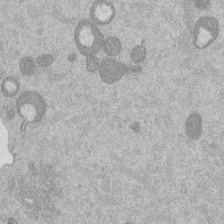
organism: Mouse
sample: Dividing mouse embryo 1 cell stage